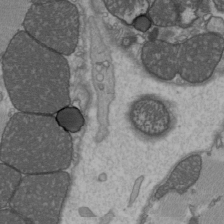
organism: C57BL Mouse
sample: Heart